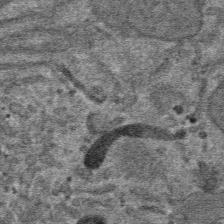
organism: Mouse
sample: Mouse hepatocytes